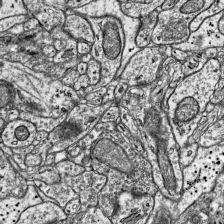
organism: Mouse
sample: Visual Cortex